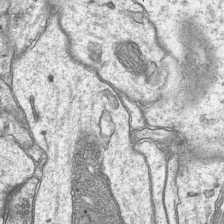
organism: Mouse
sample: CA1 Hippocampus